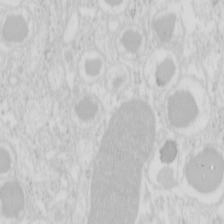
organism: Mouse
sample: Pancreas